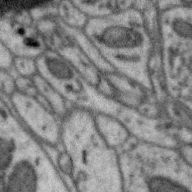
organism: Zebra finch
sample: Brain